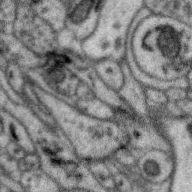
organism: Zebra finch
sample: Brain